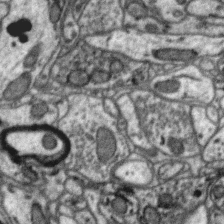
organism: Zebra finch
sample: Brain